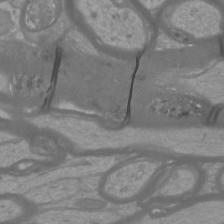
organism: Mouse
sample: Cortical neurons